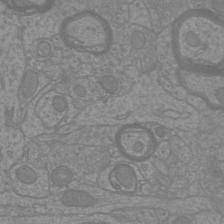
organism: Mouse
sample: Cortical neurons